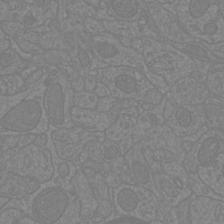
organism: Mouse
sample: Cortical neurons